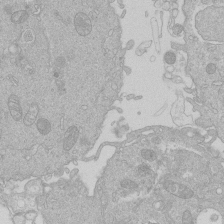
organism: Human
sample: Macrophage cells